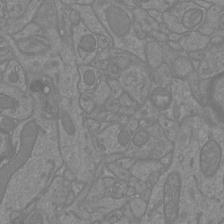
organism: Mouse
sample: Cortical neurons